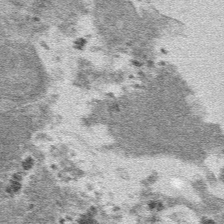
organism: Mouse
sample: Mouse hepatocytes